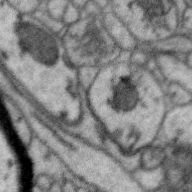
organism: Zebra finch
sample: Brain